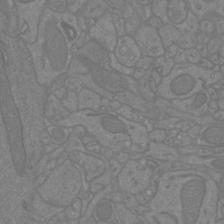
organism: Mouse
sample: Cortical neurons